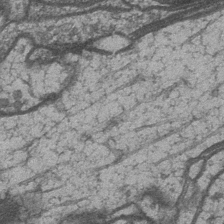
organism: Drosophila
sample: Optic medulla